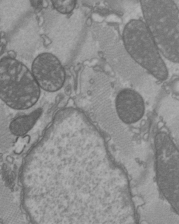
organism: C57BL Mouse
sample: Heart